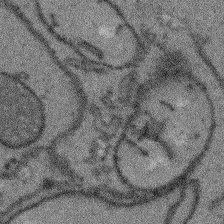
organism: Arabidopsis thaliana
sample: Root tip